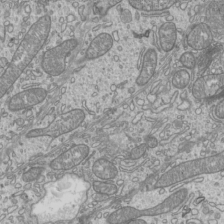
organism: Mouse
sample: Cilia; mouse epididymis